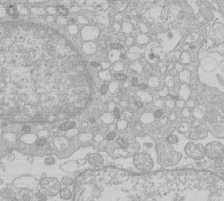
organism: Human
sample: Macrophage cells